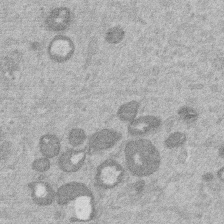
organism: Mouse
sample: Dividing mouse embryo 1 cell stage